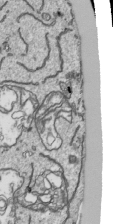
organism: Human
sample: Mitochondria in HCT116 cells